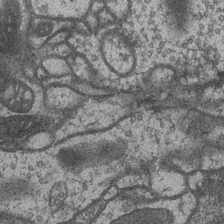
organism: Drosophila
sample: Optic medulla